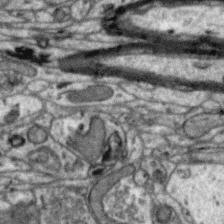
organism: Zebra finch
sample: Brain